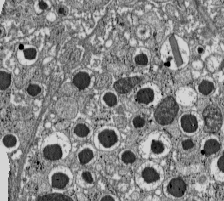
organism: C57BL Mouse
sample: Pancreatic islet